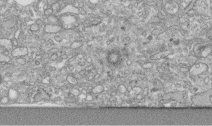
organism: Human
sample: Centriole in RPE cells